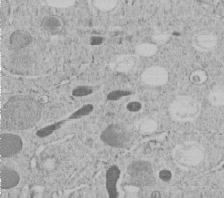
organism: C. elegans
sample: C. elegans embryo early stage